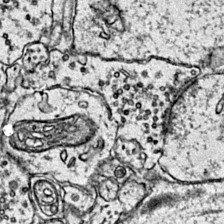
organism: Mouse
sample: Primary visual cortex